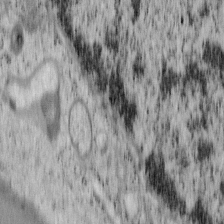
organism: Human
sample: HeLa cells